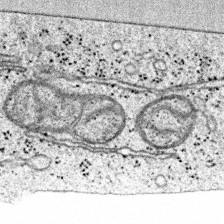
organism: Human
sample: HeLa cells